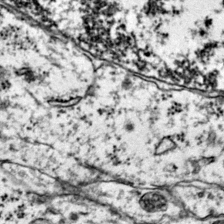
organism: Mouse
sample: Primary visual cortex